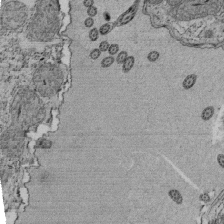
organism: Tetrahymena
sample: Cilia in tetrahymena